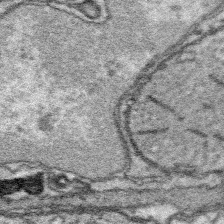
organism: Platynereis dumerilii